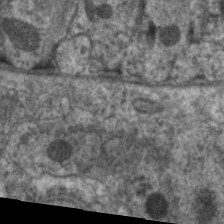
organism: C. elegans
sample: Pharynx